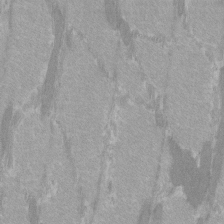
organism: C57BL Mouse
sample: Tibialis anterior muscle cell